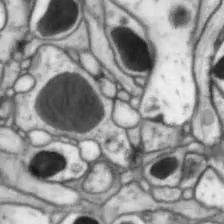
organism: Drosophila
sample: Optic lobe